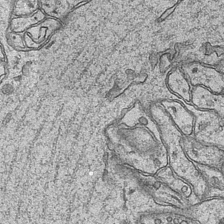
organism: Mouse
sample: CA1 Hippocampus